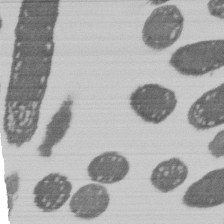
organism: E. coli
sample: Bacterial nucleoid